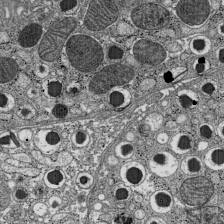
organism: C57BL Mouse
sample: Pancreatic islet